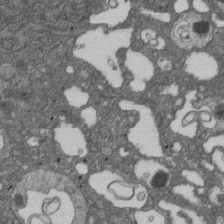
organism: Drosophila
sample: Nephrocyte